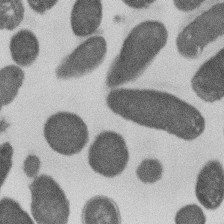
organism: E. coli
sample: Bacterial nucleoid